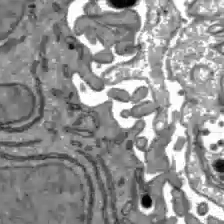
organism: C57BL Mouse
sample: Liver